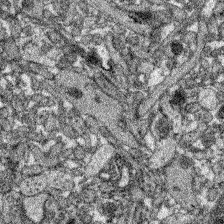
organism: Zebrafish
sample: Larval olfactory bulb